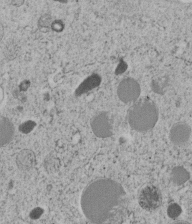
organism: C. elegans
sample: C. elegans embryo early stage